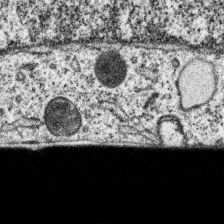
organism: Human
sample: HeLa cells